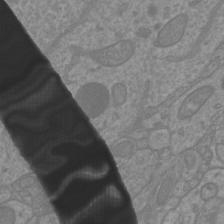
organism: Mouse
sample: Cortical neurons